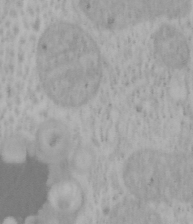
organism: Mouse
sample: OT-I killer T cells with ID8 ovarian cancer cells